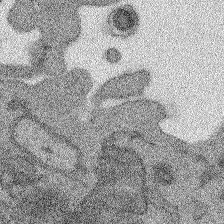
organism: Human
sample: HeLa cells